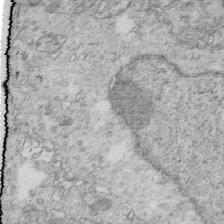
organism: Mouse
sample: Multiciliated cells